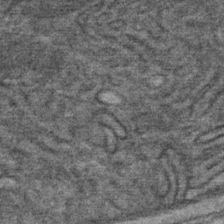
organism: Mouse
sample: Mouse Salivary gland